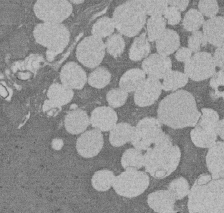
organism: Rat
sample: Salivary granule